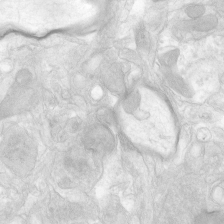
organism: Human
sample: Neocortex